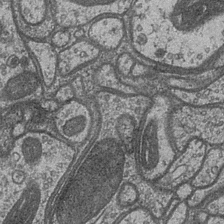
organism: Drosophila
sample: Optic medulla